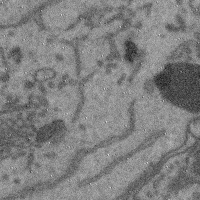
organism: Mouse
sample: Cerebral cortex